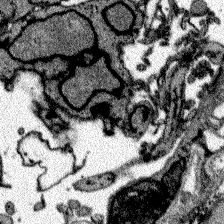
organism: Zebrafish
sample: Larval olfactory bulb